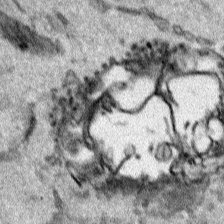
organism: Human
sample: Mitochondria in HCT116 cells